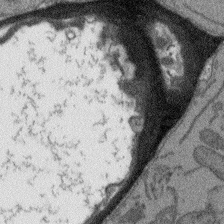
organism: Arabidopsis thaliana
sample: Root tip